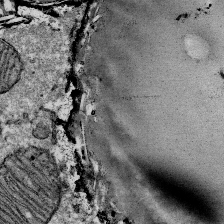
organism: Mouse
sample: Mouse Salivary gland